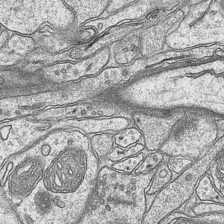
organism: Mouse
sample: CA1 Hippocampus